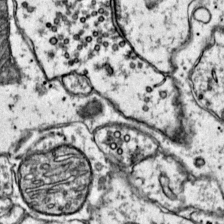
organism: Mouse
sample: Primary visual cortex